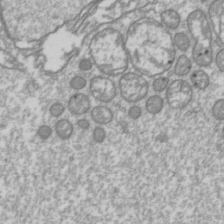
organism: Drosophila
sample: Cell division; meiosis; drosophila spermatocytes